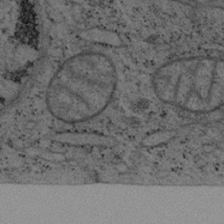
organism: Human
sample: HeLa cells